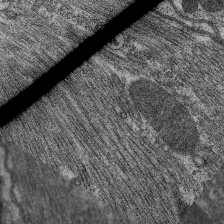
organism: C. elegans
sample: Pharynx